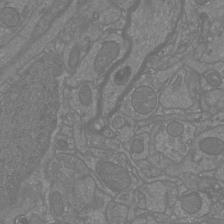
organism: Mouse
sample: Cortical neurons